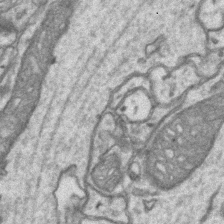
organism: Mouse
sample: CA1 Hippocampus